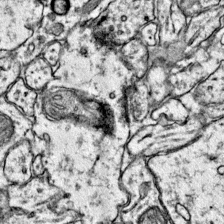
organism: Mouse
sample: Primary visual cortex